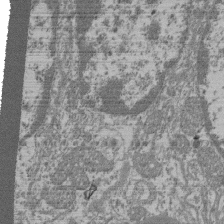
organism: Mouse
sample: Glomerulus